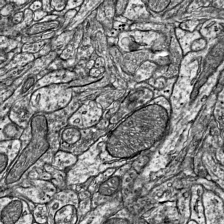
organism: Mouse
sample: Visual Cortex